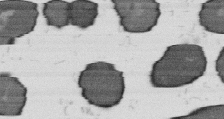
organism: B. subtilis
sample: Bacterial spore